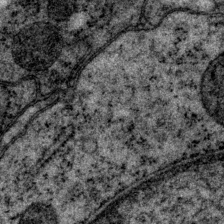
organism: P. pacificus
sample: Pharynx